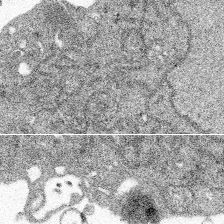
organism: Spongilla lacustris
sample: Multiple